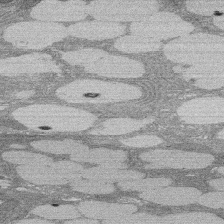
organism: Rat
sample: Salivary granule